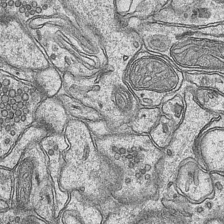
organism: Mouse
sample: CA1 Hippocampus